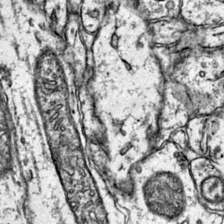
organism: Mouse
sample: Primary visual cortex